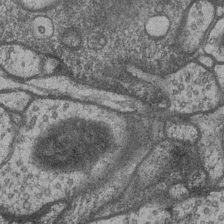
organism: Drosophila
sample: Optic medulla